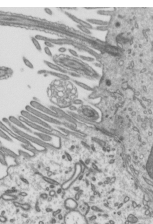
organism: Mouse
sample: Mouse epididymis efferent ductule cilia